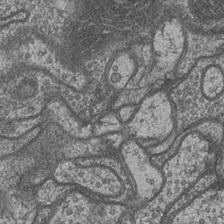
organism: Drosophila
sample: Optic medulla